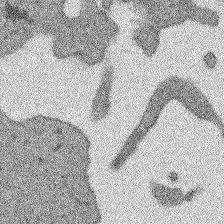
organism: Human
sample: HeLa cells